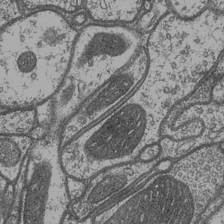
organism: Drosophila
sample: Optic medulla